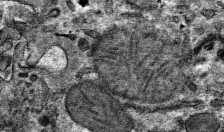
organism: Mouse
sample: Mouse hepatocytes